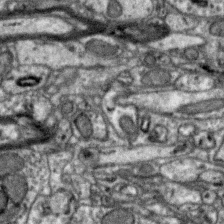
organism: Zebra finch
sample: Brain